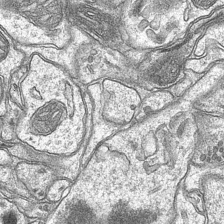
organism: Mouse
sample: CA1 Hippocampus